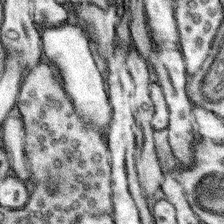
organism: Mouse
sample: Somatosensory cortex neuropil